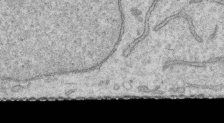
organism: Human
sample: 1205lu cells